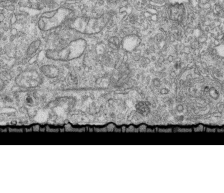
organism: Human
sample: HeLa cell HIV synapse